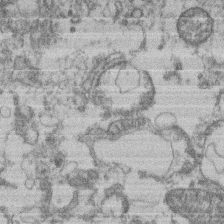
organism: Mouse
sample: T cell stromal cell synapse